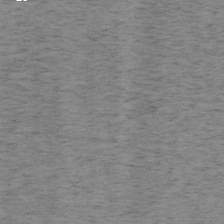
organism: Mouse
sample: OT-I killer T cells with ID8 ovarian cancer cells